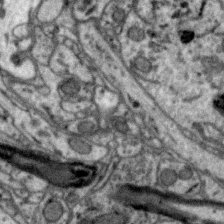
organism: Zebra finch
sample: Brain